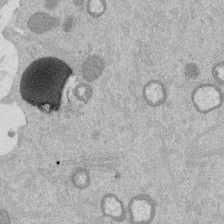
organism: Mouse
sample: Dividing mouse embryo 1 cell stage